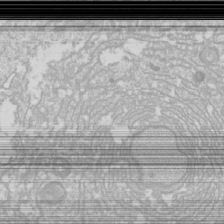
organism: Drosophila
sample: Cell division; meiosis; drosophila spermatocytes